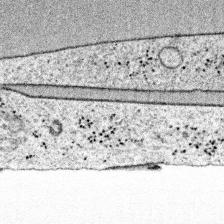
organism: Human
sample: HeLa cells